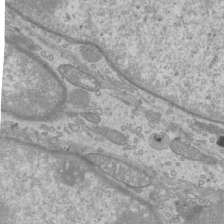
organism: Mouse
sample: Cilia; mouse epididymis